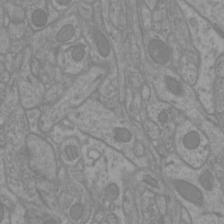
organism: Mouse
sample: Cortical neurons